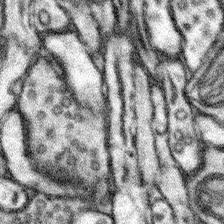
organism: Mouse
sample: Somatosensory cortex neuropil